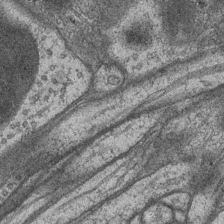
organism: Drosophila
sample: Optic medulla